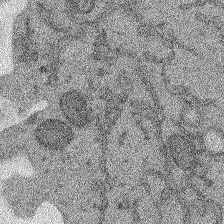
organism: Human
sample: HeLa cells